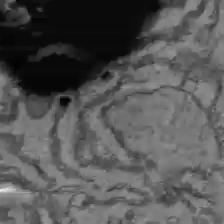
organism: C57BL Mouse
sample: Liver